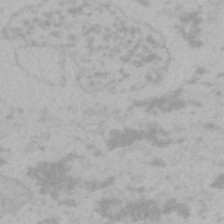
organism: Mouse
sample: Choroid plexus